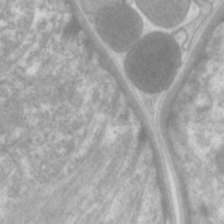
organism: C. elegans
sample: Pharynx